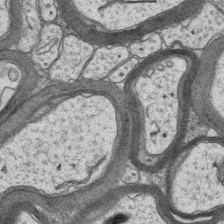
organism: Mouse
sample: CA1 Hippocampus